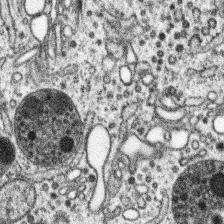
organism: Human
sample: HeLa cells